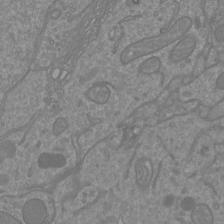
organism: Mouse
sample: Cortical neurons